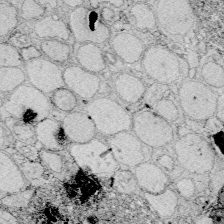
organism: Zebrafish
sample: Whole-Brain